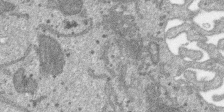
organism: Human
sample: Lung epithelial cells infected with SARS-CoV-2